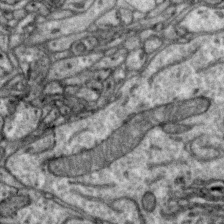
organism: Zebra finch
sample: Brain